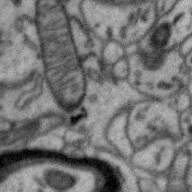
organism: Zebra finch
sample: Brain